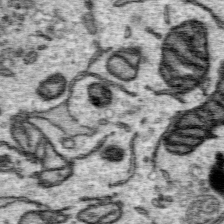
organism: Human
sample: HeLa cells